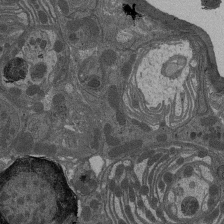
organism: Drosophila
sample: Antenna